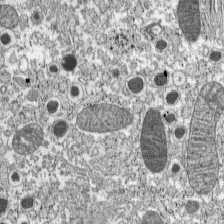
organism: C57BL Mouse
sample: Pancreatic islet